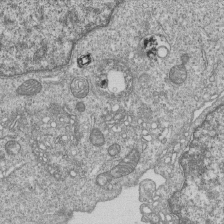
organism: Human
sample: MDA-MB-231 cells